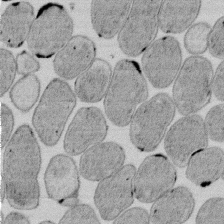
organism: E. coli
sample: Bacterial nucleoid